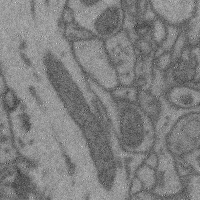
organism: Mouse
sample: Cerebral cortex